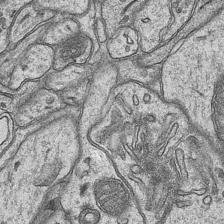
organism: Mouse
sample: CA1 Hippocampus